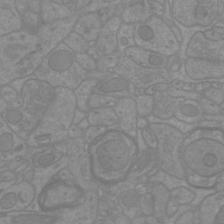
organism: Mouse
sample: Cortical neurons